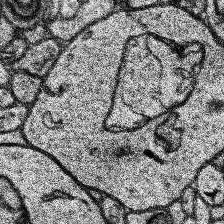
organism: Human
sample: Temporal Lobe